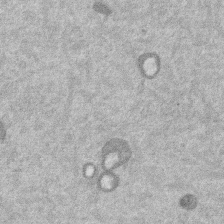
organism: Mouse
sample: Dividing mouse embryo 1 cell stage